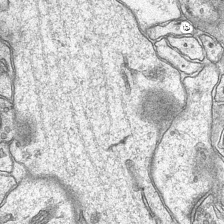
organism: Mouse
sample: CA1 Hippocampus